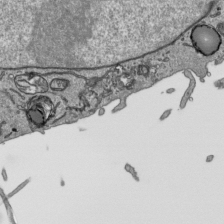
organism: Human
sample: Mitochondria in HCT116 cells